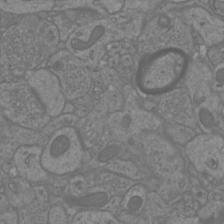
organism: Mouse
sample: Cortical neurons